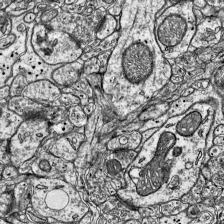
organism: Mouse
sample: Visual Cortex